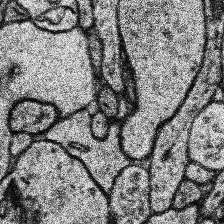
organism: Human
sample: Temporal Lobe